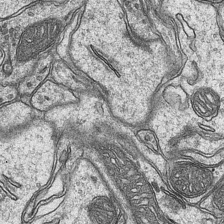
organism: Mouse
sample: CA1 Hippocampus